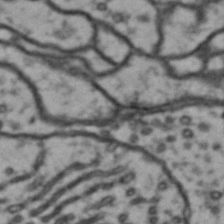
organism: Drosophila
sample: Brain